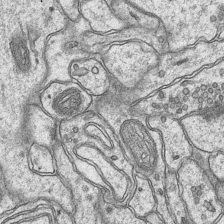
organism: Mouse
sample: CA1 Hippocampus